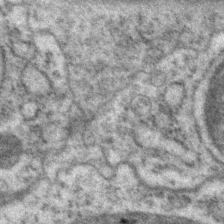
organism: P. pacificus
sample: Pharynx